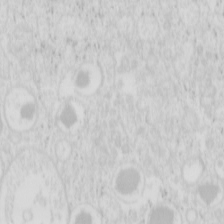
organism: Mouse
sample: Pancreas